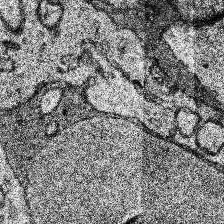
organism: Human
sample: Temporal Lobe